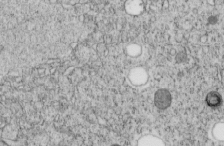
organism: C. elegans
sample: C. elegans embryo early stage